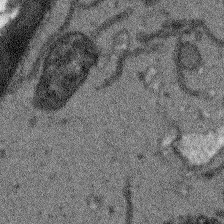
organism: Arabidopsis thaliana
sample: Root tip